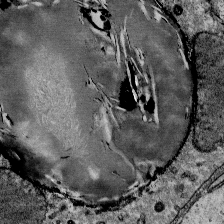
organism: Mouse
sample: Mouse Salivary gland